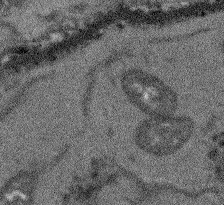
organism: Arabidopsis thaliana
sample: Root tip